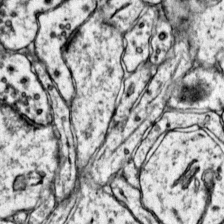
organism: Mouse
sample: Primary visual cortex